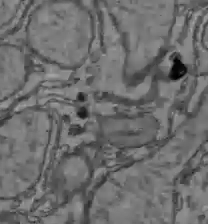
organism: C57BL Mouse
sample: Liver